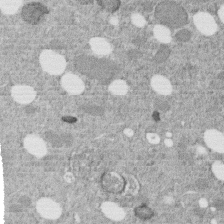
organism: C. elegans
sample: C. elegans embryo early stage